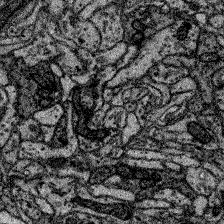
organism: Zebrafish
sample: Larval olfactory bulb